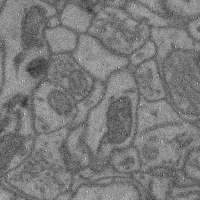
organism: Mouse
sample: Cerebral cortex